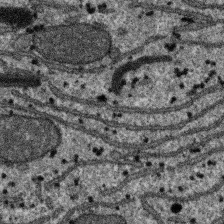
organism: Human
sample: Lung epithelial cells infected with SARS-CoV-2